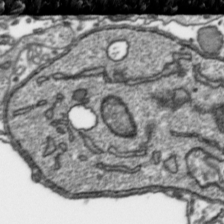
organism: Toxoplasma gondii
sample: Parasites in a vacuole inside a host cell